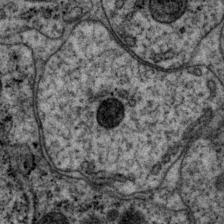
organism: P. pacificus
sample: Pharynx